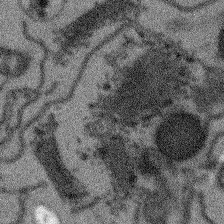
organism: Arabidopsis thaliana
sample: Root tip